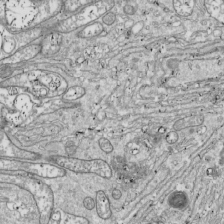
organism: Drosophila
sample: Cell division; meiosis; drosophila spermatocytes